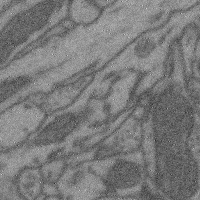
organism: Mouse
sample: Cerebral cortex